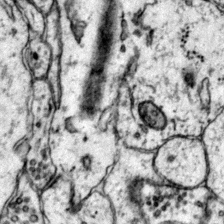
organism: Mouse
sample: Primary visual cortex